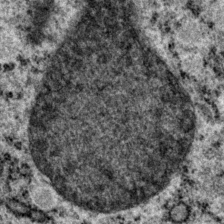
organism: P. pacificus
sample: Pharynx